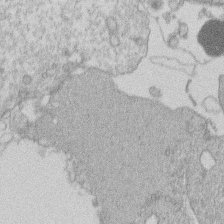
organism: Human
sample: Macrophage cells